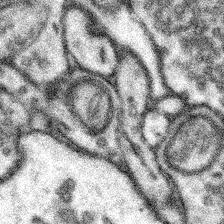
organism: Mouse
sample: Somatosensory cortex neuropil